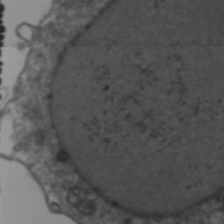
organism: Human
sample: HIV-1 Gag-iGFP